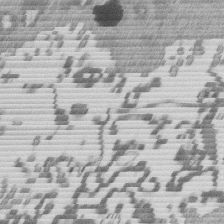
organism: Mouse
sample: Dividing mouse embryo 1 cell stage